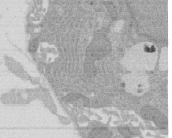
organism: Rat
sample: Salivary granule